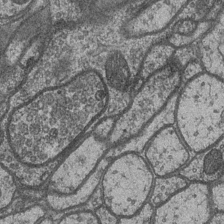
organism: Drosophila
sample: Optic medulla